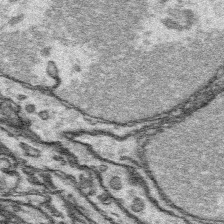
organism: Platynereis dumerilii